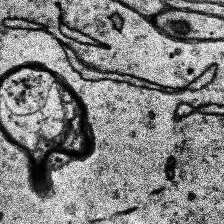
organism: Human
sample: Temporal Lobe